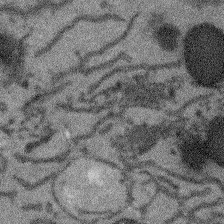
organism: Arabidopsis thaliana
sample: Root tip